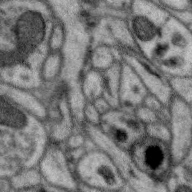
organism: Zebra finch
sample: Brain